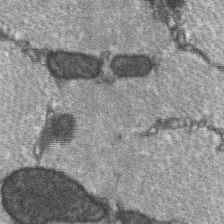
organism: C57BL Mouse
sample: Soleus